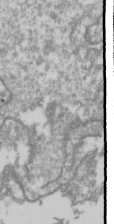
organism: Drosophila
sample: Cell division; meiosis; drosophila spermatocytes